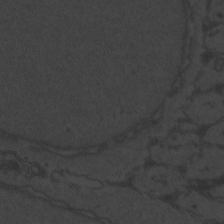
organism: Zebrafish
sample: Macrophage infected with Toxoplasma gondii